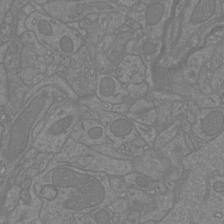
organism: Mouse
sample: Cortical neurons